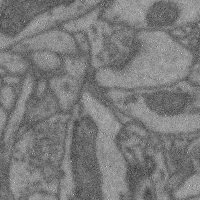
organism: Mouse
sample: Cerebral cortex